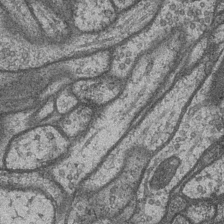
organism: Drosophila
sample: Optic medulla